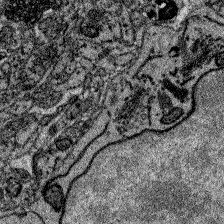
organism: Zebrafish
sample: Larval olfactory bulb